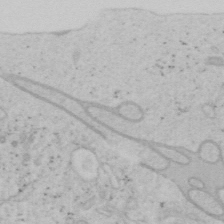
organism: Human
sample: HeLa cells